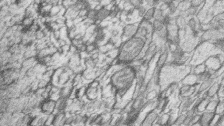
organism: Zebrafish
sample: synaptic ribbons in rod cells and cone cells